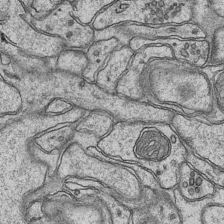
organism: Mouse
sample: CA1 Hippocampus